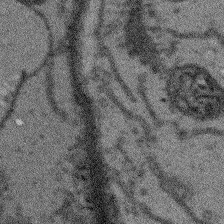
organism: Arabidopsis thaliana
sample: Root tip